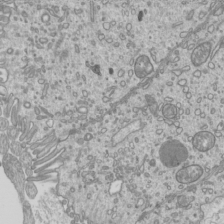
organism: Mouse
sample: Cilia; mouse epididymis